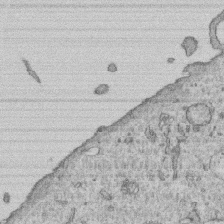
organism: Human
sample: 1205lu cells